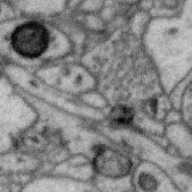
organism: Zebra finch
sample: Brain